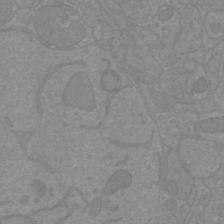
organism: Mouse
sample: Cortical neurons